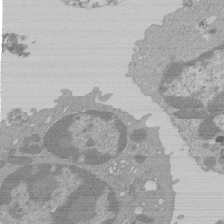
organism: Mouse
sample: Activated Pmel transgenic CD8+ T Cells